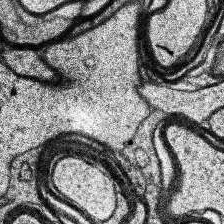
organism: Human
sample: Temporal Lobe